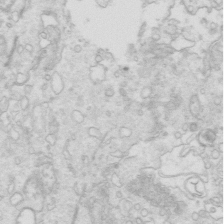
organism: Mouse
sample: Multiciliated cells